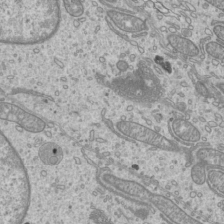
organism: Mouse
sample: Cilia; mouse epididymis